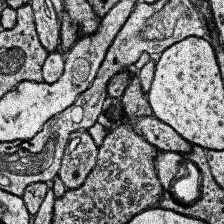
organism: Human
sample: Temporal Lobe